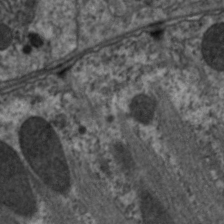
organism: C. elegans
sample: Pharynx